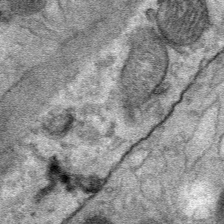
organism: Mouse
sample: Mouse Salivary gland